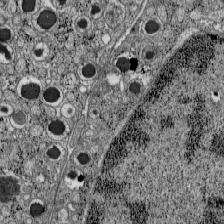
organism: C57BL Mouse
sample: Pancreatic islet